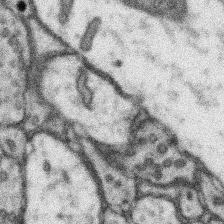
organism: Mouse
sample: Somatosensory cortex neuropil